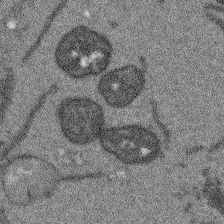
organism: Arabidopsis thaliana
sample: Root tip